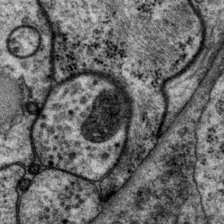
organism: P. pacificus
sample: Pharynx